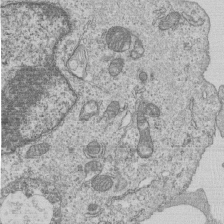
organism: Human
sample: MDA-MB-231 cells